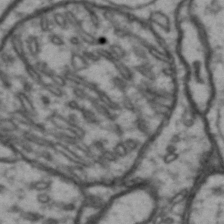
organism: Drosophila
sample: Brain